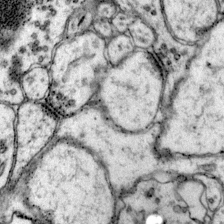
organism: Mouse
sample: Primary visual cortex